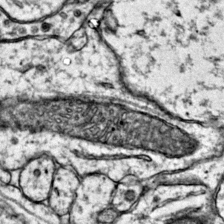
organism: Mouse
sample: Primary visual cortex